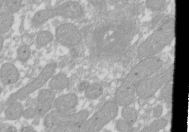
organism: Xenopus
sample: Cilia; centrioles in frog embryo cells